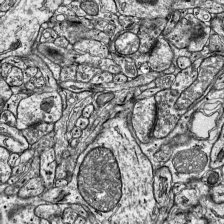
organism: Mouse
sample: Visual Cortex